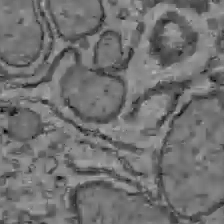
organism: C57BL Mouse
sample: Liver